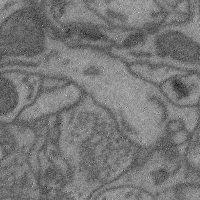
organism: Mouse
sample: Cerebral cortex